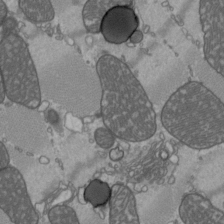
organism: C57BL Mouse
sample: Heart